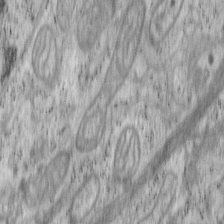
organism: Human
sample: HeLa cells